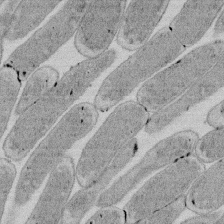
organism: E. coli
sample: Bacterial nucleoid